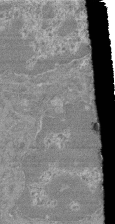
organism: Mouse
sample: Glomerulus